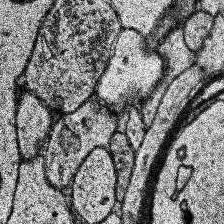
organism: Human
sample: Temporal Lobe